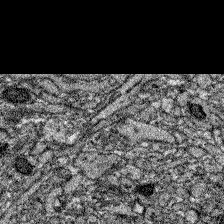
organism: Zebrafish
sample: Larval olfactory bulb